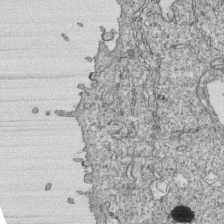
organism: Human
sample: HeLa cell HIV synapse